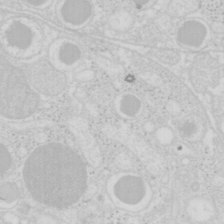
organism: Mouse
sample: Pancreas